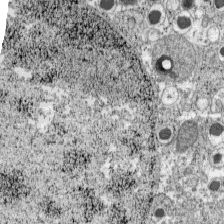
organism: C57BL Mouse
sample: Pancreatic islet